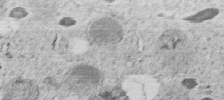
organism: C. elegans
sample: C. elegans embryo early stage